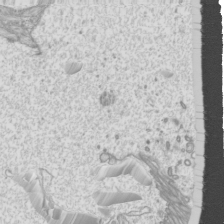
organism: Mouse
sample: Cilia; mouse epididymis